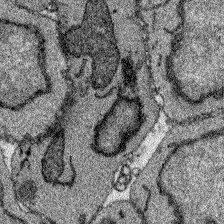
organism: Zebrafish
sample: Larval olfactory bulb